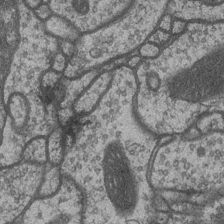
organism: Drosophila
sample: Optic medulla